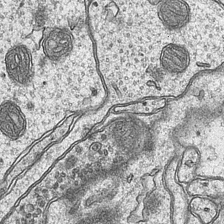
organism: Mouse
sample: CA1 Hippocampus